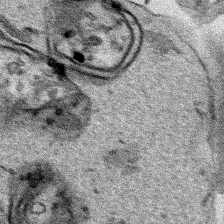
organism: Human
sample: Mitochondria in HCT116 cells